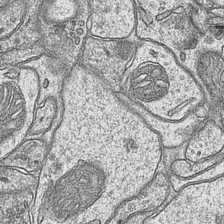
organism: Mouse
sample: CA1 Hippocampus